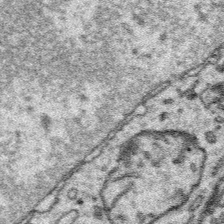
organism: Platynereis dumerilii